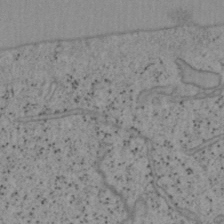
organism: Human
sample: HeLa cells